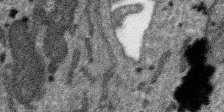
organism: Human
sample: Lung epithelial cells infected with SARS-CoV-2